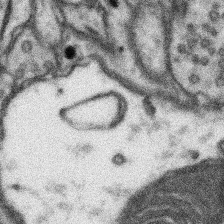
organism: Mouse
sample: Somatosensory cortex neuropil